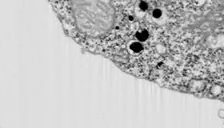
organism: Chlamydomonas reinhardtii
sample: Whole Cell